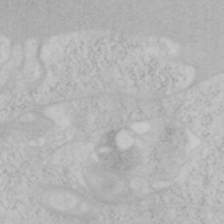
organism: Mouse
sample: OT-I killer T cells with ID8 ovarian cancer cells